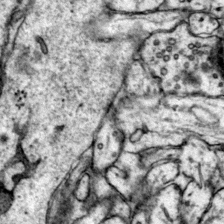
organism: Mouse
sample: Primary visual cortex